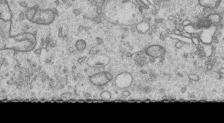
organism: Human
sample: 1205lu cells